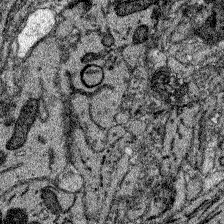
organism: Zebrafish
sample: Larval olfactory bulb